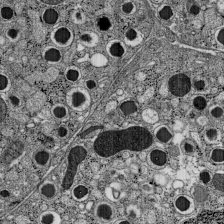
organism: C57BL Mouse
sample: Pancreatic islet